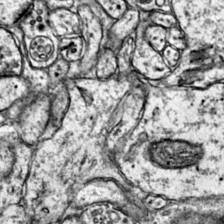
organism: Mouse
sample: Primary visual cortex